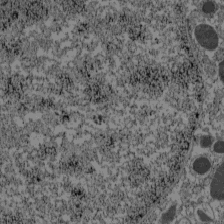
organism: C57BL Mouse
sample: Pancreatic islet